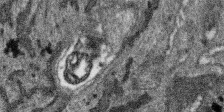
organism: Human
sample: Lung epithelial cells infected with SARS-CoV-2